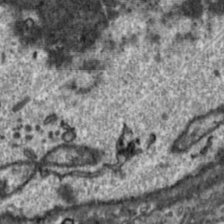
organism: Toxoplasma gondii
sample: Parasites in a vacuole inside a host cell